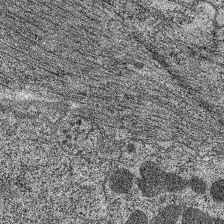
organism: C. elegans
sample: Pharynx